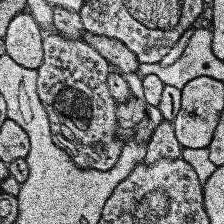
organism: Human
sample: Temporal Lobe